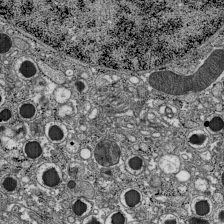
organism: C57BL Mouse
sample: Pancreatic islet